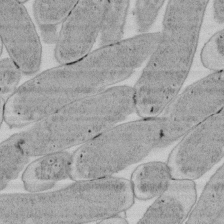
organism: E. coli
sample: Bacterial nucleoid